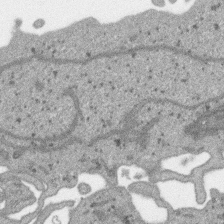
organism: Human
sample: Lung epithelial cells infected with SARS-CoV-2